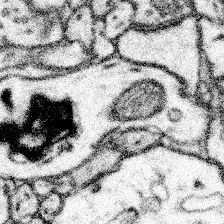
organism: Mouse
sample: Somatosensory cortex neuropil